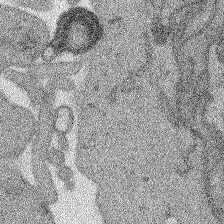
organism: Human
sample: HeLa cells